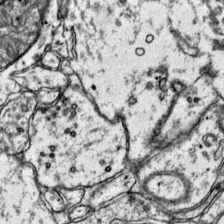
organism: Mouse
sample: Primary visual cortex